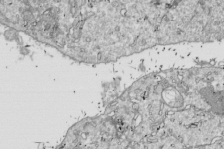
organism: Drosophila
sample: Cell division; meiosis; drosophila spermatocytes